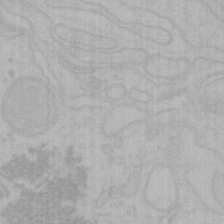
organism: Mouse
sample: Choroid plexus